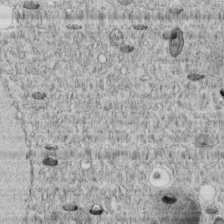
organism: C. elegans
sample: C. elegans embryo early stage